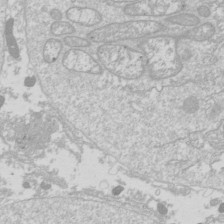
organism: Drosophila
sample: Cell division; meiosis; drosophila spermatocytes